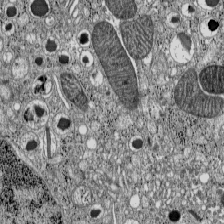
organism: C57BL Mouse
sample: Pancreatic islet